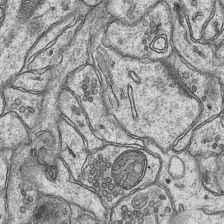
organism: Mouse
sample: CA1 Hippocampus